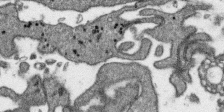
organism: Human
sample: Lung epithelial cells, uninfected (mock) control